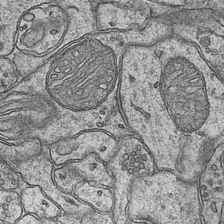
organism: Mouse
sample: CA1 Hippocampus